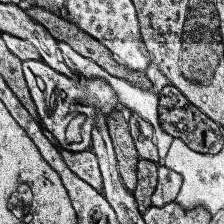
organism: Human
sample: Temporal Lobe